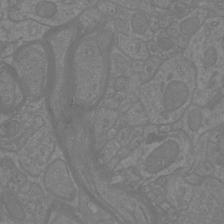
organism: Mouse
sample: Cortical neurons